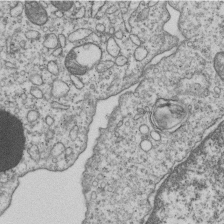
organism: Human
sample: MDA-MB-231 cells